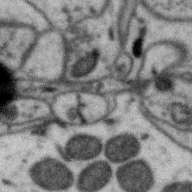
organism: Zebra finch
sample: Brain